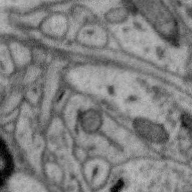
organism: Zebra finch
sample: Brain